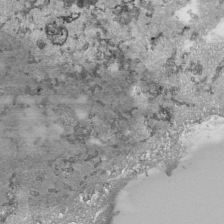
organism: Human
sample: Mitochondria in HCT116 cells